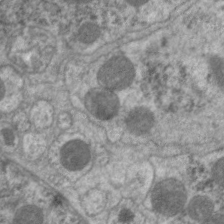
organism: C. elegans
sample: Pharynx